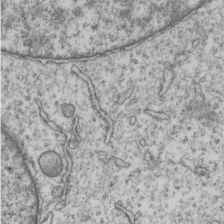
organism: Human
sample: MDA-MB-231 cells